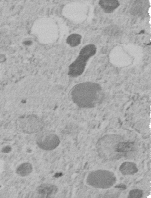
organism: C. elegans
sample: C. elegans embryo early stage